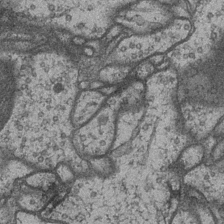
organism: Drosophila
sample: Optic medulla